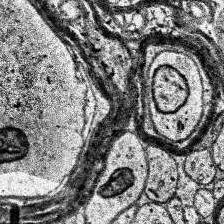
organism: Human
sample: Temporal Lobe